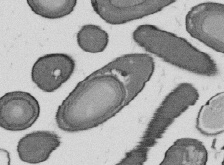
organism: B. subtilis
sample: Bacterial spore